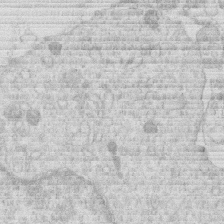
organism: Human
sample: Macrophage cells